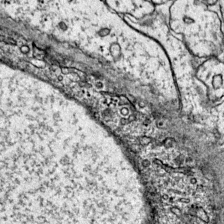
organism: Mouse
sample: Primary visual cortex